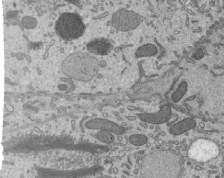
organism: Mouse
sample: Mouse epididymis efferent ductule cilia